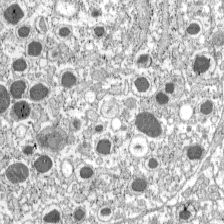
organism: C57BL Mouse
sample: Pancreatic islet